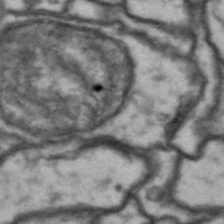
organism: Drosophila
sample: Brain